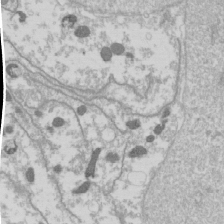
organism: Drosophila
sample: Cell division; meiosis; drosophila spermatocytes